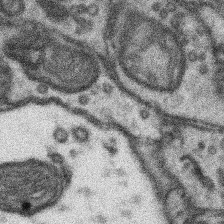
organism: Mouse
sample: Somatosensory cortex neuropil